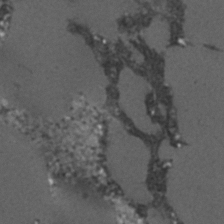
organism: C. elegans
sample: C. elegans embryo